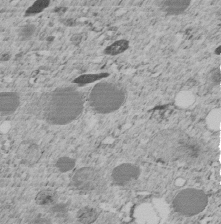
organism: C. elegans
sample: C. elegans embryo early stage